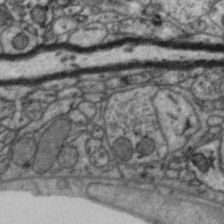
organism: Zebra finch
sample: Brain